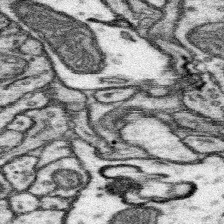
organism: Mouse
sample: Somatosensory cortex neuropil